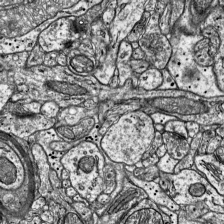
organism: Mouse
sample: Visual Cortex